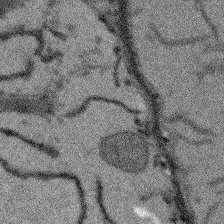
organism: Arabidopsis thaliana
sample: Root tip